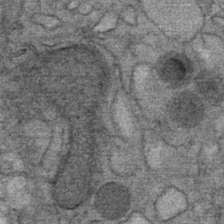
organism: Mouse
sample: Mouse Salivary gland